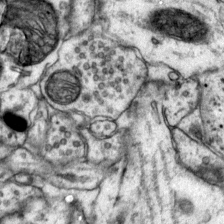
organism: Mouse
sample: Primary visual cortex